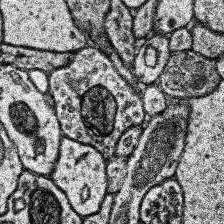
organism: Human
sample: Temporal Lobe